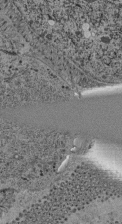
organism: C. elegans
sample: C. elegans pharynx